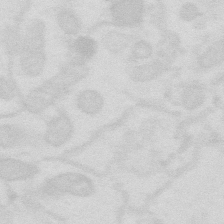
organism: Human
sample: HeLa cells